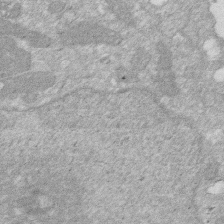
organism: Human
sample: HIV infected U937 cells